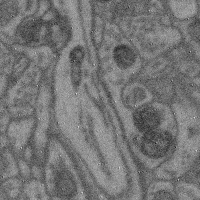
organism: Mouse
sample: Cerebral cortex